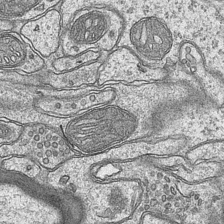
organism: Mouse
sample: CA1 Hippocampus